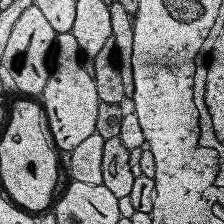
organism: Human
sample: Temporal Lobe